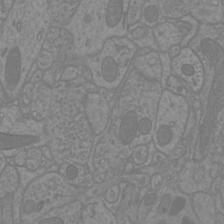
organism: Mouse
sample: Cortical neurons